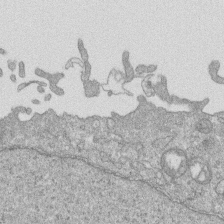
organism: Human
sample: HeLa cell HIV synapse